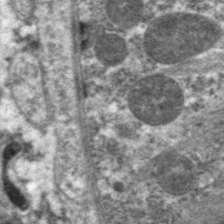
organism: C. elegans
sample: Pharynx